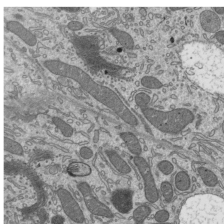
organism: Mouse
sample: Mouse epididymis efferent ductule cilia